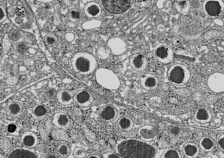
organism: C57BL Mouse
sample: Pancreatic islet